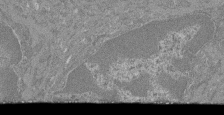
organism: Mouse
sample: Glomerulus